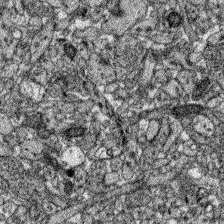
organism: Zebrafish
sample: Larval olfactory bulb